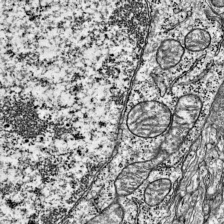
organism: Mouse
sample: Visual Cortex